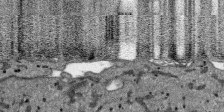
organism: Human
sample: Lung epithelial cells, uninfected (mock) control